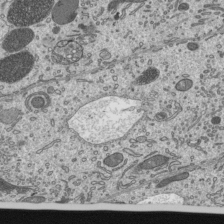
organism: Mouse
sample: Mouse epididymis efferent ductule cilia